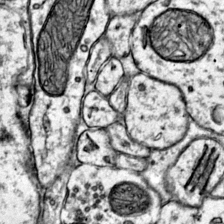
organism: Mouse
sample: Primary visual cortex